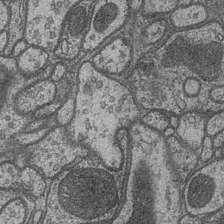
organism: Drosophila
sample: Optic medulla